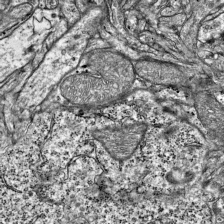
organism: Mouse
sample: Visual Cortex